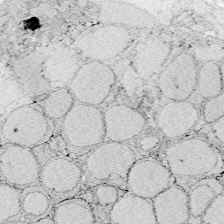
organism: Zebrafish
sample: Whole-Brain